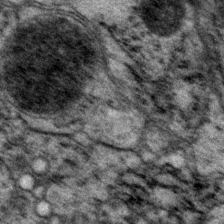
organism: P. pacificus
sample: Pharynx